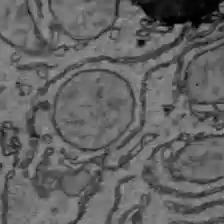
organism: C57BL Mouse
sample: Liver